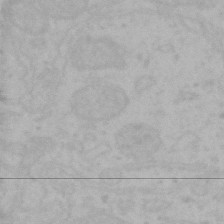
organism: Mouse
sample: Choroid plexus